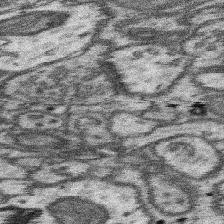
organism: Mouse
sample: Somatosensory cortex neuropil